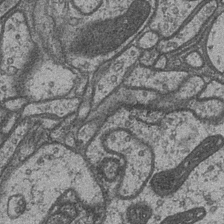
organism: Drosophila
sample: Optic medulla